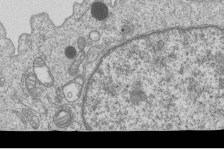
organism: Human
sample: MDA-MB-231 cells